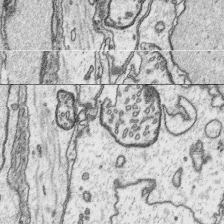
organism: Platynereis dumerilii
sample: Parapodia